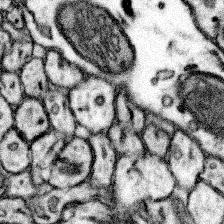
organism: Mouse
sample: Somatosensory cortex neuropil